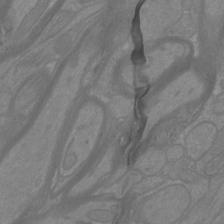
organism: Mouse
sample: Cortical neurons